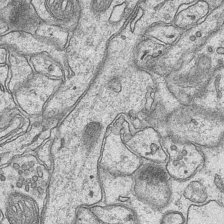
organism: Mouse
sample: CA1 Hippocampus